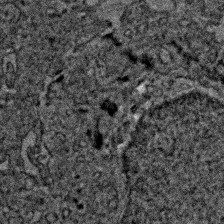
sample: Trachea